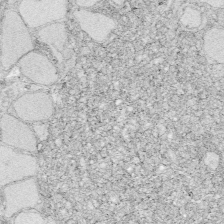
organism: Zebrafish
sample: Whole-Brain